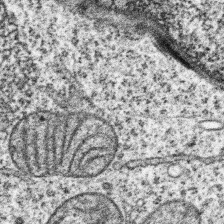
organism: Human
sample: HeLa cells